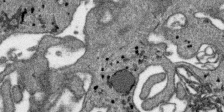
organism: Human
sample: Lung epithelial cells, uninfected (mock) control